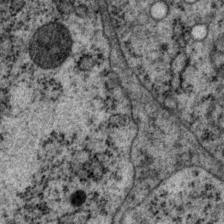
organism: P. pacificus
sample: Pharynx